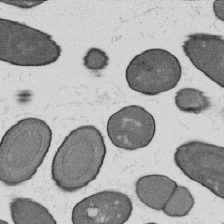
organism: B. subtilis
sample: Bacterial spore